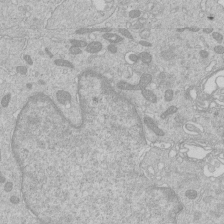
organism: Human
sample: Macrophage cells